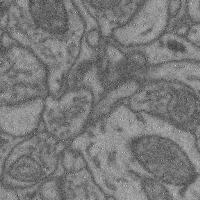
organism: Mouse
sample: Cerebral cortex